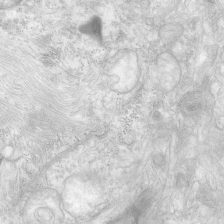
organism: Human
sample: Neocortex